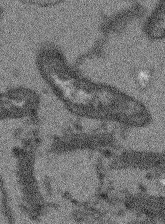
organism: Arabidopsis thaliana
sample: Root tip